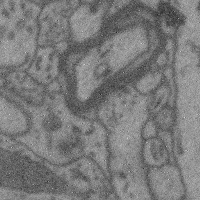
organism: Mouse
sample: Cerebral cortex